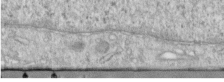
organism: Human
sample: Centriole in RPE cells